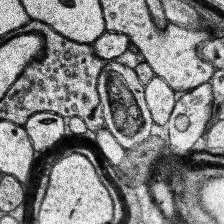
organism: Human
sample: Temporal Lobe